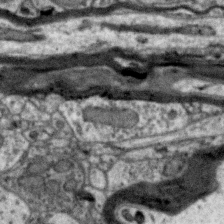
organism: Zebra finch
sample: Brain